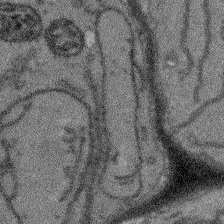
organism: Arabidopsis thaliana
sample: Root tip